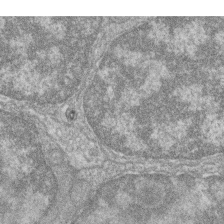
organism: Zebrafish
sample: Cilia; retinal pigment epithelium